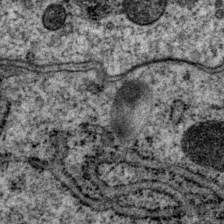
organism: P. pacificus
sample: Pharynx